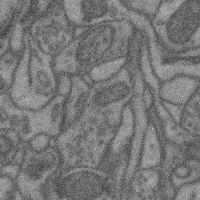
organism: Mouse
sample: Cerebral cortex